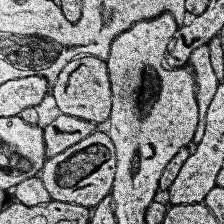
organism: Human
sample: Temporal Lobe